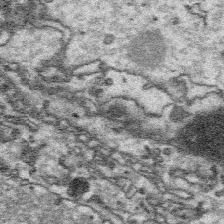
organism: Platynereis dumerilii